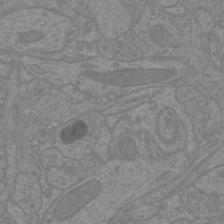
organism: Mouse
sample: Cortical neurons